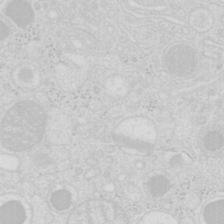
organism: Mouse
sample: Pancreas